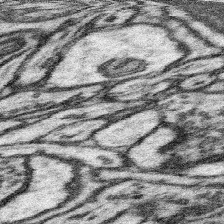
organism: Mouse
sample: Somatosensory cortex neuropil